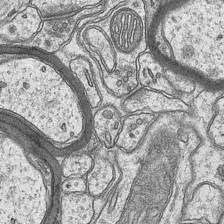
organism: Mouse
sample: CA1 Hippocampus